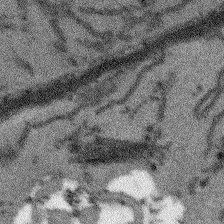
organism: Arabidopsis thaliana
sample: Root tip